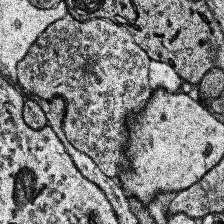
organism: Human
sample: Temporal Lobe